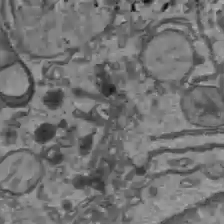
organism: C57BL Mouse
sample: Liver